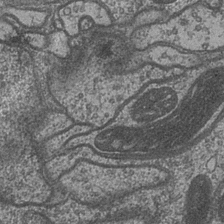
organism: Drosophila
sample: Optic medulla